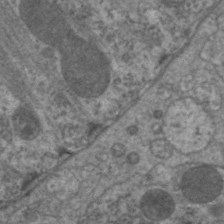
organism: C. elegans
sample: Pharynx